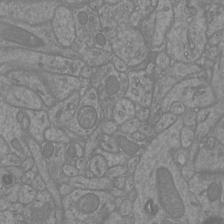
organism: Mouse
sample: Cortical neurons